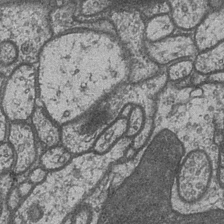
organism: Drosophila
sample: Optic medulla